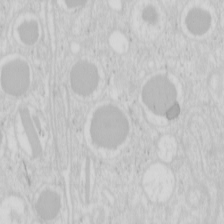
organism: Mouse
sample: Pancreas